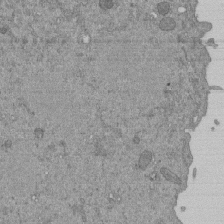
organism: Mouse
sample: ED-1 cell nuclei; centrioles